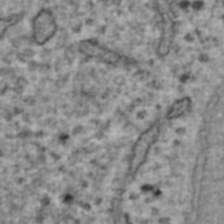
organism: Human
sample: Blood